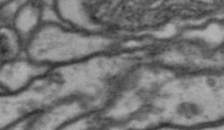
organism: Drosophila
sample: Brain